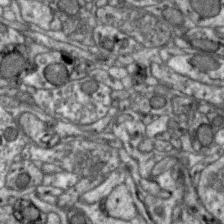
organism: Zebra finch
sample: Brain